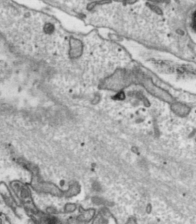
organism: Toxoplasma gondii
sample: Parasites in a vacuole inside a host cell